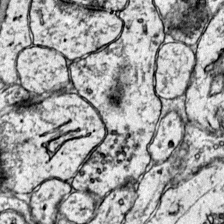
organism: Mouse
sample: Primary visual cortex